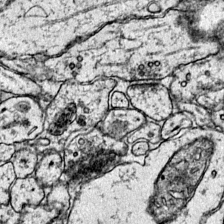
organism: Mouse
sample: Primary visual cortex